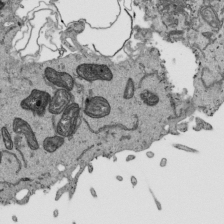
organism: Human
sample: Mitochondria in HCT116 cells